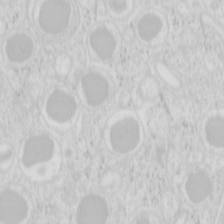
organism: Mouse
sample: Pancreas